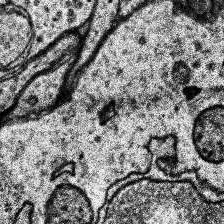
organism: Human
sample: Temporal Lobe